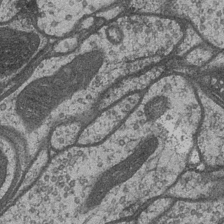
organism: Drosophila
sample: Optic medulla